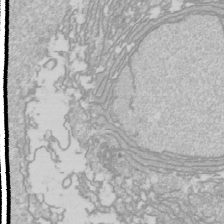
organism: Drosophila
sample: Cell division; meiosis; drosophila spermatocytes